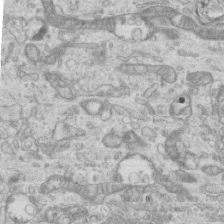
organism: Mouse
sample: Centriole in ependymal cells